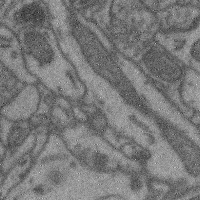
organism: Mouse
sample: Cerebral cortex